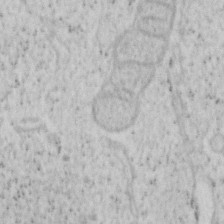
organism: Human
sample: HeLa cells